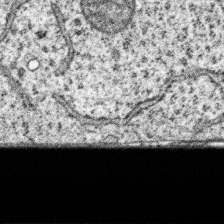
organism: Human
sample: HeLa cells